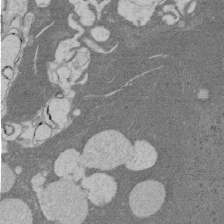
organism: Rat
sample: Salivary granule